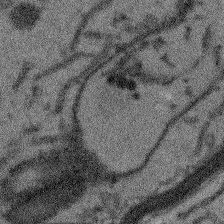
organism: Arabidopsis thaliana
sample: Root tip